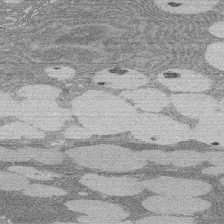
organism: Rat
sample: Salivary granule